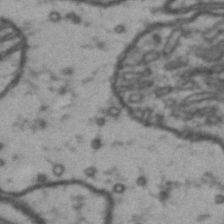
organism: Drosophila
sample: Brain